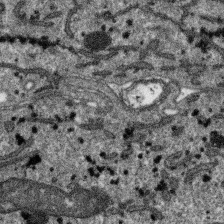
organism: Human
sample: Lung epithelial cells infected with SARS-CoV-2